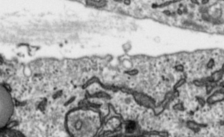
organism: Toxoplasma gondii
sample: Parasites in a vacuole inside a host cell